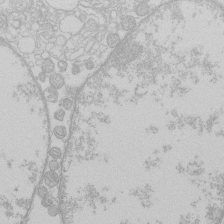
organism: Human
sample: Macrophage cells